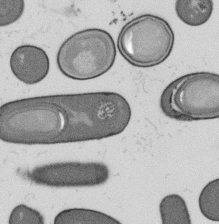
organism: B. subtilis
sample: Bacterial spore